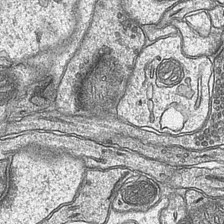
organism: Mouse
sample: CA1 Hippocampus